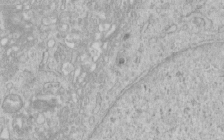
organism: Human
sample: Centriole in RPE cells